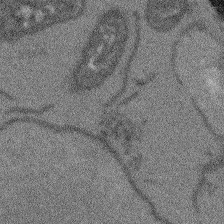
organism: Arabidopsis thaliana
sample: Root tip